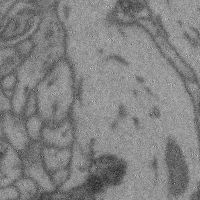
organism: Mouse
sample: Cerebral cortex